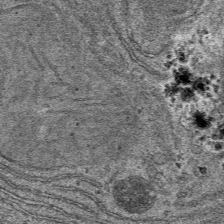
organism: Mouse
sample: Mouse hepatocytes